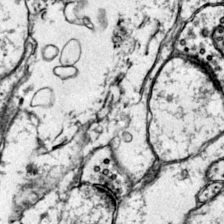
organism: Mouse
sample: Primary visual cortex